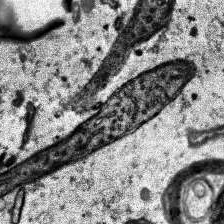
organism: Human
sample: Temporal Lobe